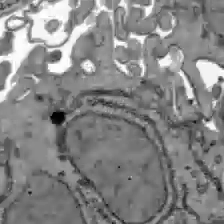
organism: C57BL Mouse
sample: Liver